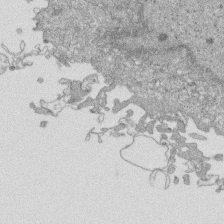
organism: Human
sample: HeLa cell HIV synapse